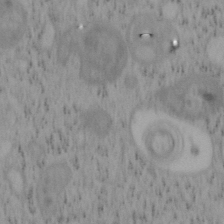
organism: Mouse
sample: OT-I killer T cells with ID8 ovarian cancer cells